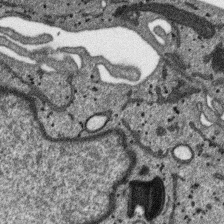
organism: Human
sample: Lung epithelial cells infected with SARS-CoV-2